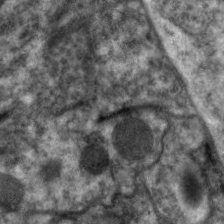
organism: C. elegans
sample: Pharynx